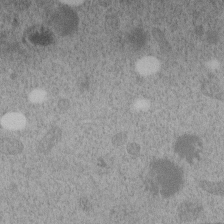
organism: C. elegans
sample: C. elegans embryo early stage